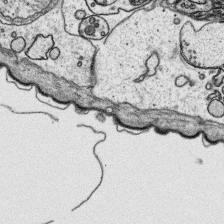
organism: Platynereis dumerilii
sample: Parapodia